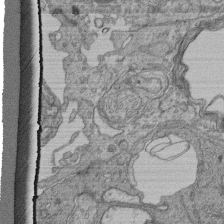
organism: Human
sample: Retinal organoid Rod and Cone cells